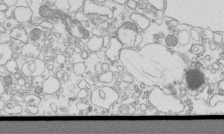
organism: Mouse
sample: Macrophages